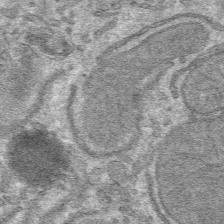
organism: Mouse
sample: Mouse hepatocytes